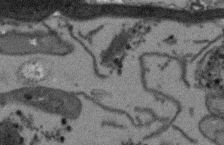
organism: Arabidopsis thaliana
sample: Root tip